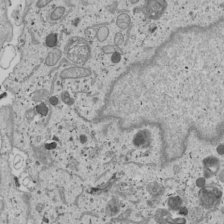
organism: Human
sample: Mitochondria in U2OS cells